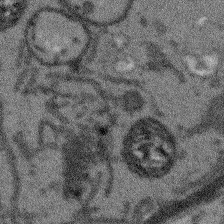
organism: Arabidopsis thaliana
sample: Root tip